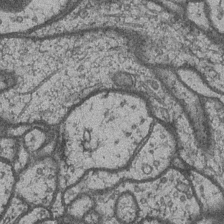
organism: Drosophila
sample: Optic medulla